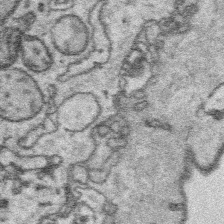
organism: Platynereis dumerilii